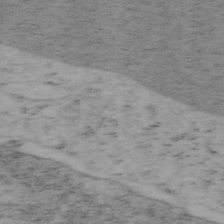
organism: Mouse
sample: OT-I killer T cells with ID8 ovarian cancer cells